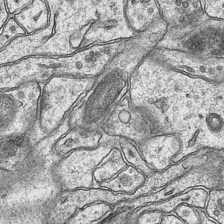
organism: Mouse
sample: CA1 Hippocampus